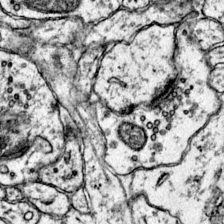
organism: Mouse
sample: Primary visual cortex